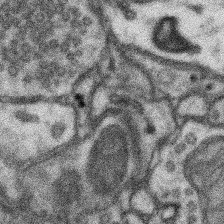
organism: Mouse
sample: Somatosensory cortex neuropil